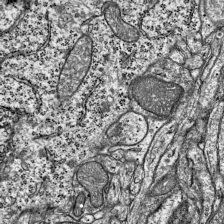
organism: Mouse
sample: Visual Cortex